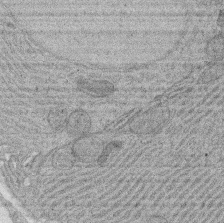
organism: Rat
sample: Salivary granule